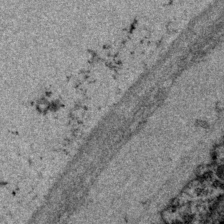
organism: P. pacificus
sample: Pharynx